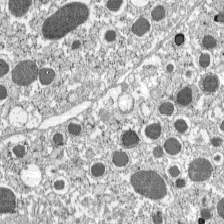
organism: C57BL Mouse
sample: Pancreatic islet